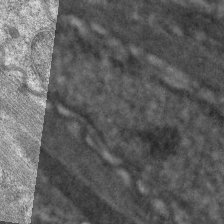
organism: C. elegans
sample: Pharynx